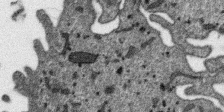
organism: Human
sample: Lung epithelial cells infected with SARS-CoV-2